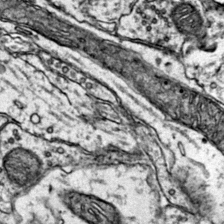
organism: Mouse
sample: Primary visual cortex